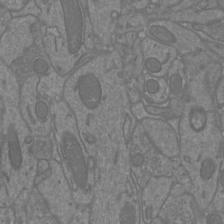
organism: Mouse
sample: Cortical neurons